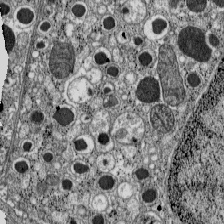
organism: C57BL Mouse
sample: Pancreatic islet